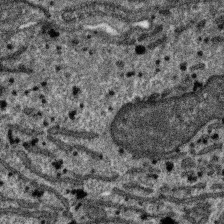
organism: Human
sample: Lung epithelial cells infected with SARS-CoV-2